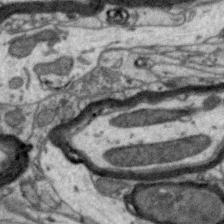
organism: Zebra finch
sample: Brain